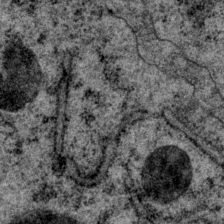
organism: P. pacificus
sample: Pharynx